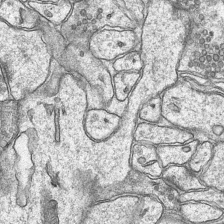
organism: Mouse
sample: CA1 Hippocampus